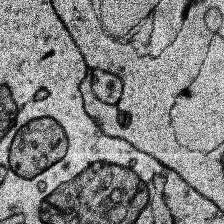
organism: Human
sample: Temporal Lobe